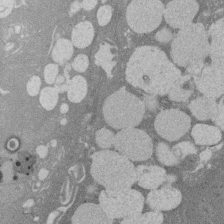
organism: Rat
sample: Salivary granule